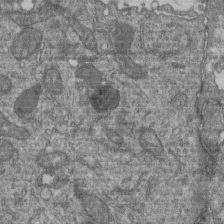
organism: Human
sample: Retinal organoid Rod and Cone cells